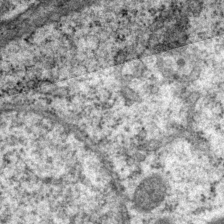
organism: P. pacificus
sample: Pharynx